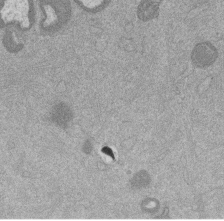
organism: Mouse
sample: Dividing mouse embryo 1 cell stage